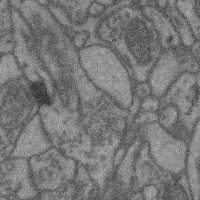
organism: Mouse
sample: Cerebral cortex